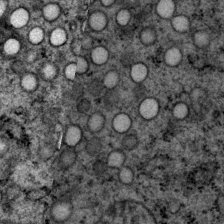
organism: P. pacificus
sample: Pharynx